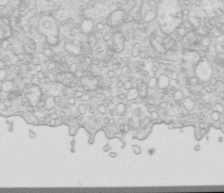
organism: Mouse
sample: Multiciliated cells